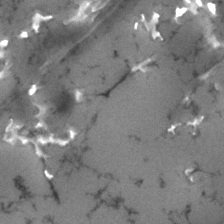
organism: Human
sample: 1205lu cells